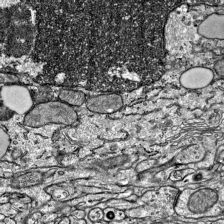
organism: Mouse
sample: Visual Cortex